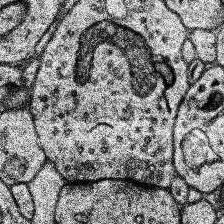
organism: Human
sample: Temporal Lobe